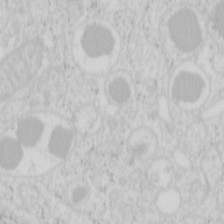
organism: Mouse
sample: Pancreas